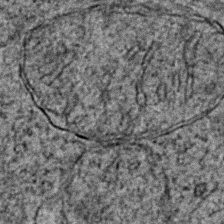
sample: Trachea